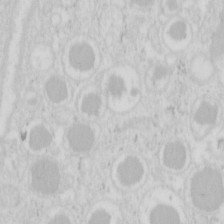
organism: Mouse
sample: Pancreas